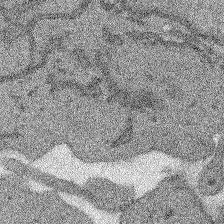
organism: Human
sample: HeLa cells